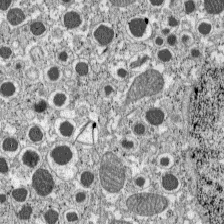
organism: C57BL Mouse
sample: Pancreatic islet